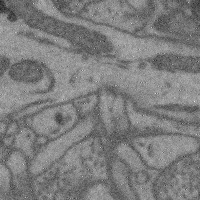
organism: Mouse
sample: Cerebral cortex